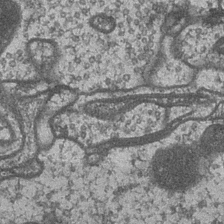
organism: Drosophila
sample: Optic medulla